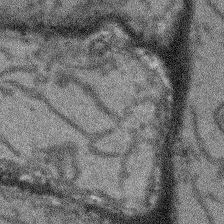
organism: Arabidopsis thaliana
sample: Root tip